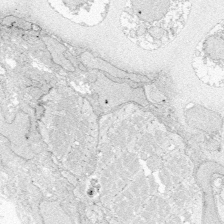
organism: Zebrafish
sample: Whole-Brain